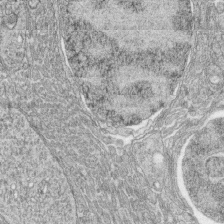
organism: Zebrafish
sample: synaptic ribbons in rod cells and cone cells